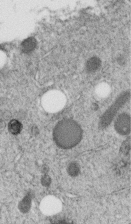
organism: C. elegans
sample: C. elegans embryo early stage